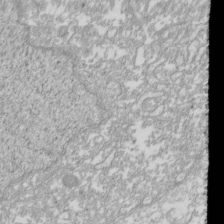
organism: Xenopus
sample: Cilia; centrioles in frog embryo cells